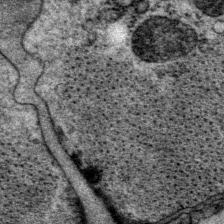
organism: P. pacificus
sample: Pharynx